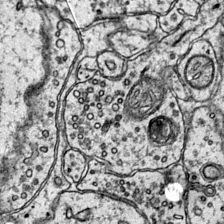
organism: Mouse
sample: Primary visual cortex